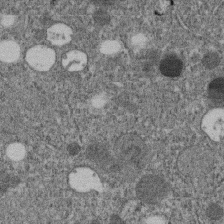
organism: C. elegans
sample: C. elegans embryo early stage